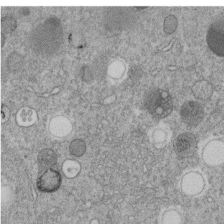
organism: C. elegans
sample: C. elegans embryo early stage